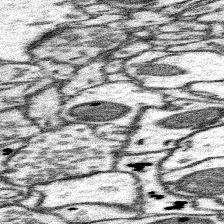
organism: Mouse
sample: Somatosensory cortex neuropil